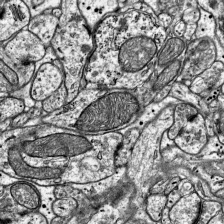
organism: Mouse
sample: Visual Cortex